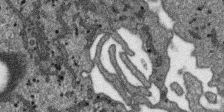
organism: Human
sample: Lung epithelial cells infected with SARS-CoV-2